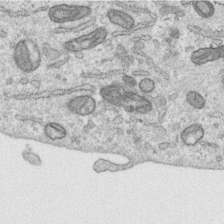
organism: Human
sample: Centriole in RPE cells